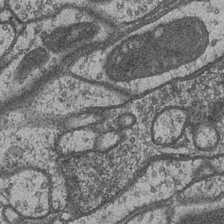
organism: Drosophila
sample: Optic medulla